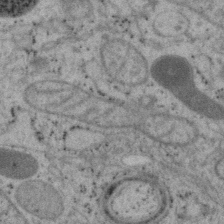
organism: Human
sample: HeLa cells